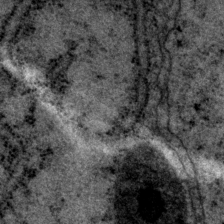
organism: P. pacificus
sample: Pharynx